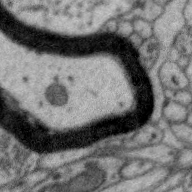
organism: Zebra finch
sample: Brain